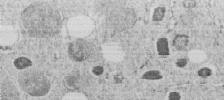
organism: C. elegans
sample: C. elegans embryo early stage